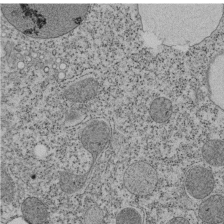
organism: Tetrahymena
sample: Cilia in tetrahymena